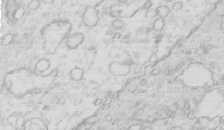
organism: Mouse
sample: Multiciliated cells